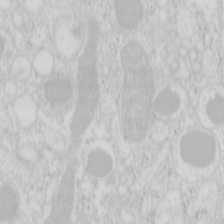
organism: Mouse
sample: Pancreas